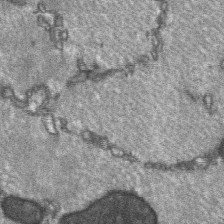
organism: C57BL Mouse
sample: Soleus